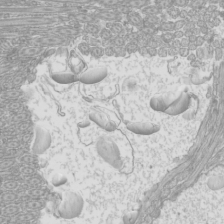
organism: Mouse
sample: Cilia; mouse epididymis